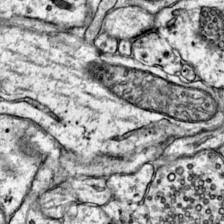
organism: Mouse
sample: Primary visual cortex